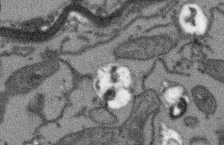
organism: Arabidopsis thaliana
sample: Root tip